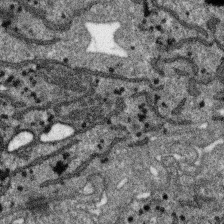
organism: Human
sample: Lung epithelial cells infected with SARS-CoV-2